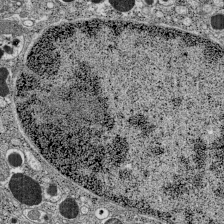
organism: C57BL Mouse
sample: Pancreatic islet